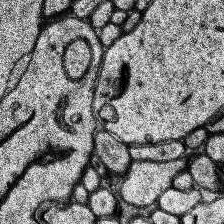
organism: Human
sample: Temporal Lobe